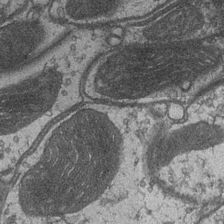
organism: Drosophila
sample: Optic medulla